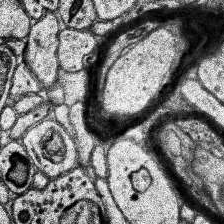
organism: Human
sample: Temporal Lobe